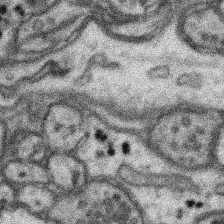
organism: Mouse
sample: Somatosensory cortex neuropil